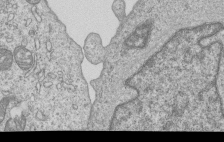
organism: Human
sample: MDA-MB-231 cells